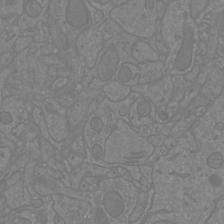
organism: Mouse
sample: Cortical neurons